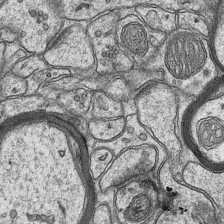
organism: Mouse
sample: CA1 Hippocampus